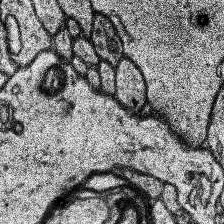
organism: Human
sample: Temporal Lobe